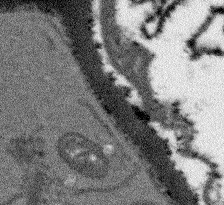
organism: Arabidopsis thaliana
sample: Root tip